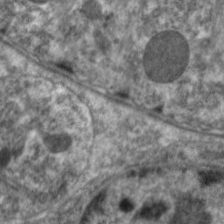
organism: C. elegans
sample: Pharynx